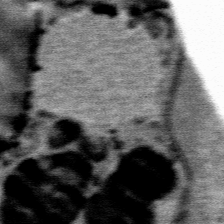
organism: Mouse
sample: Mouse Salivary gland